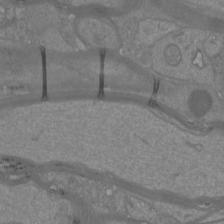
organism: Mouse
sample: Cortical neurons